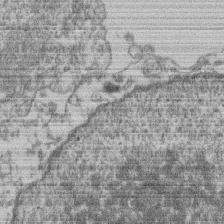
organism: Mouse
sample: T cell stromal cell synapse